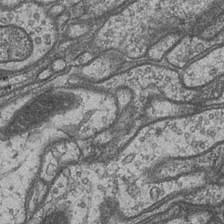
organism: Drosophila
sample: Optic medulla